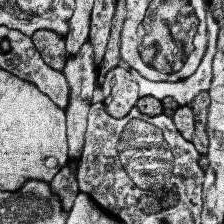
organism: Human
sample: Temporal Lobe